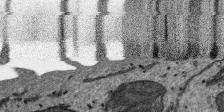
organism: Human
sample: Lung epithelial cells, uninfected (mock) control